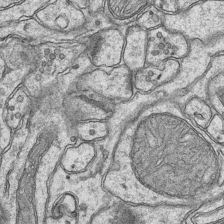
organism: Mouse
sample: CA1 Hippocampus